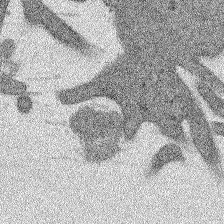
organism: Human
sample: HeLa cells